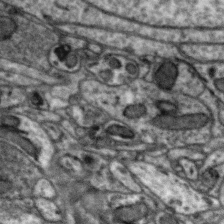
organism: Zebra finch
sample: Brain